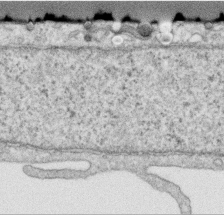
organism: Human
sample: Centriole in RPE cells